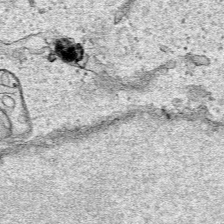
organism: Human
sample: Mitochondria in HCT116 cells